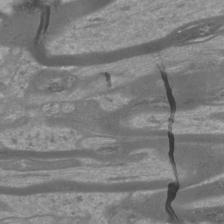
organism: Mouse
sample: Cortical neurons